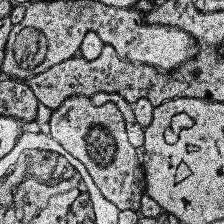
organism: Human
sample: Temporal Lobe